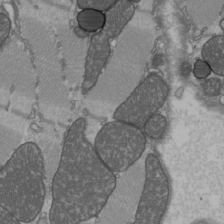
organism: C57BL Mouse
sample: Heart